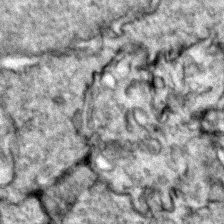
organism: Zebrafish